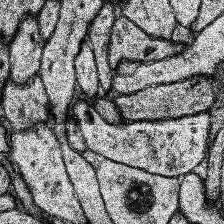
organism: Human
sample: Temporal Lobe